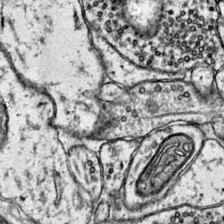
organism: Mouse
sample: Primary visual cortex